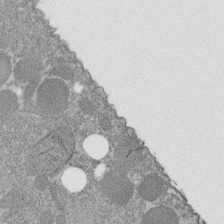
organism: C. elegans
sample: C. elegans embryo early stage